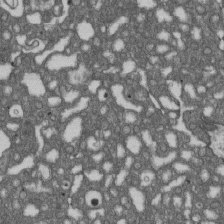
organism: Drosophila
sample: Nephrocyte